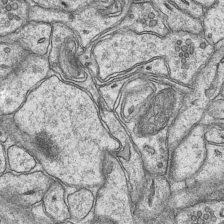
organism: Mouse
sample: CA1 Hippocampus